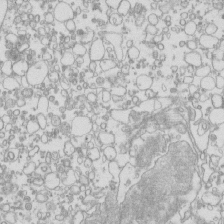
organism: Mouse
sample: Macrophages